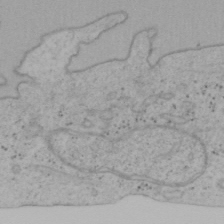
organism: Human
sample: HeLa cells